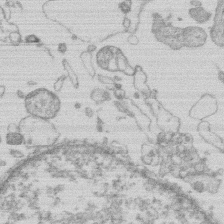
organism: Human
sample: Macrophage cells